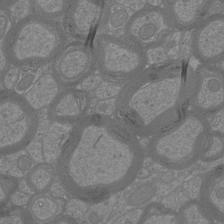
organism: Mouse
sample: Cortical neurons